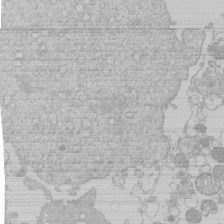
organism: Human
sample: Macrophage cells